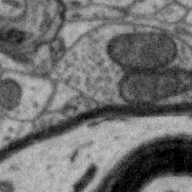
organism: Zebra finch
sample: Brain